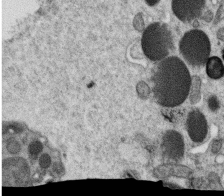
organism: C. elegans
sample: C. elegans oocyte; sperm cells